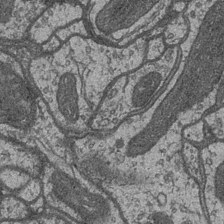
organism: Drosophila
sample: Optic medulla